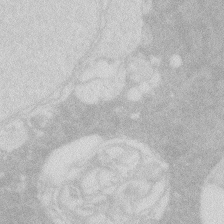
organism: Zebrafish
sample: Macrophage